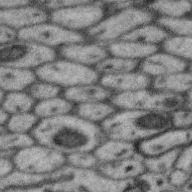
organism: Zebra finch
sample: Brain